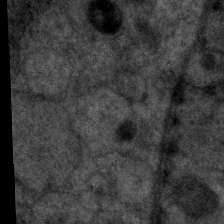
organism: C. elegans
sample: Pharynx